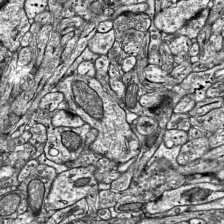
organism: Mouse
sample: Visual Cortex